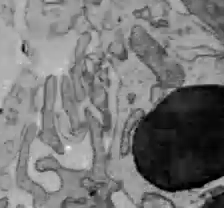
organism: C57BL Mouse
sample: Liver